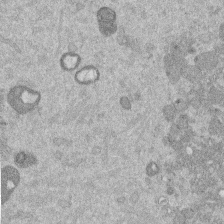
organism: Mouse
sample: Dividing mouse embryo 1 cell stage